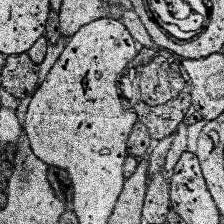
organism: Human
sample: Temporal Lobe